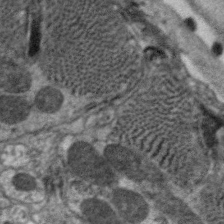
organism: C. elegans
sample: Pharynx